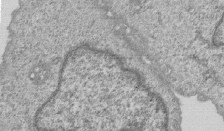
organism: Human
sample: MDA-MB-231 cells